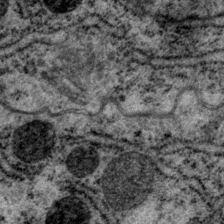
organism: P. pacificus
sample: Pharynx